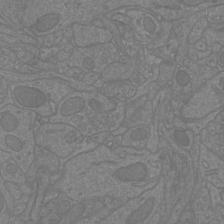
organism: Mouse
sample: Cortical neurons